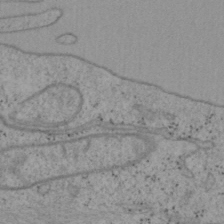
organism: Human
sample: HeLa cells